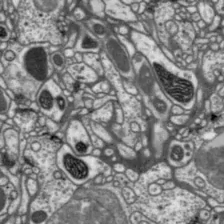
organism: Drosophila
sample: Protocerebral bridge